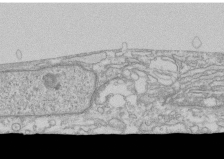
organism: Human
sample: CRL-1474